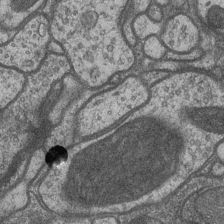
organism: Drosophila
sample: Optic medulla